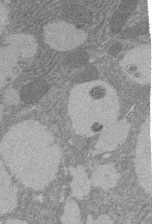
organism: Rat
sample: Salivary granule